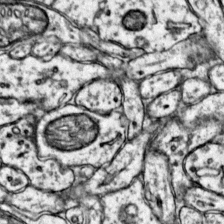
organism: Mouse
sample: Primary visual cortex